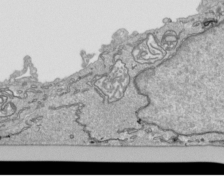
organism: Human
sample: Mitochondria in HCT116 cells